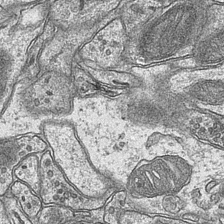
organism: Mouse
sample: CA1 Hippocampus